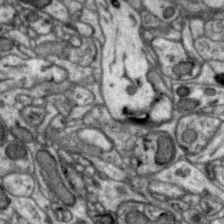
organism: Zebra finch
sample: Brain